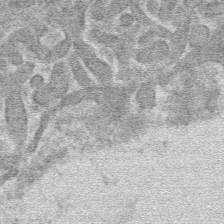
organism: Mouse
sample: Mouse hepatocytes